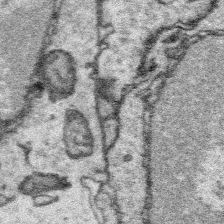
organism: Platynereis dumerilii